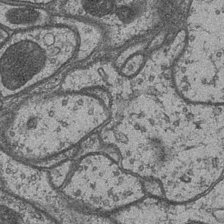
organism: Drosophila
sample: Optic medulla